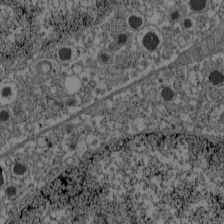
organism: C57BL Mouse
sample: Pancreatic islet